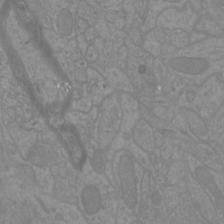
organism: Mouse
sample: Cortical neurons